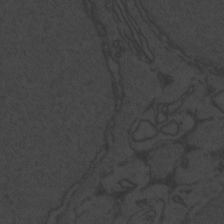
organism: Zebrafish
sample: Macrophage infected with Toxoplasma gondii